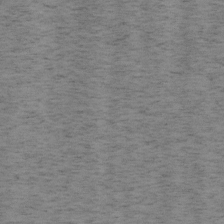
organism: Mouse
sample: OT-I killer T cells with ID8 ovarian cancer cells